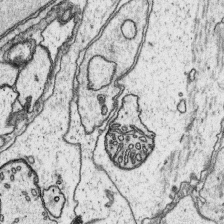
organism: Platynereis dumerilii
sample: Parapodia